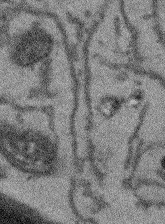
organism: Arabidopsis thaliana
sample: Root tip